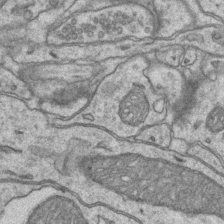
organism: Mouse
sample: CA1 Hippocampus